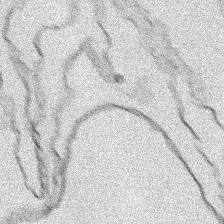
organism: Human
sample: Mitochondria in HCT116 cells